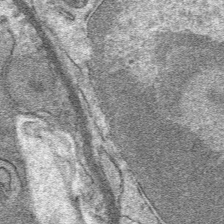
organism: Mouse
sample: Mouse Salivary gland